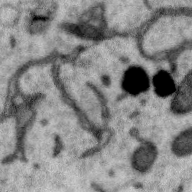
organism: Zebra finch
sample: Brain